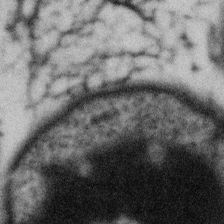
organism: Gemmata obscuriglobus